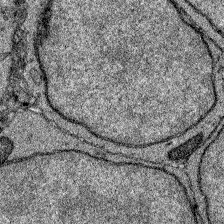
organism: Zebrafish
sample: Larval olfactory bulb